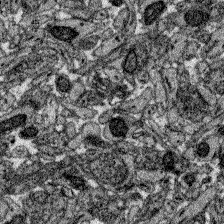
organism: Zebrafish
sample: Larval olfactory bulb